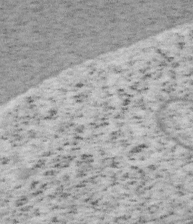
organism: Mouse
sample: OT-I killer T cells with ID8 ovarian cancer cells